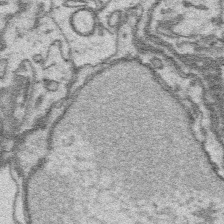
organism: Platynereis dumerilii